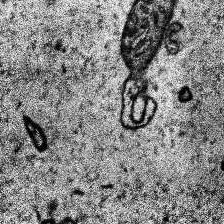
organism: Human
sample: Temporal Lobe